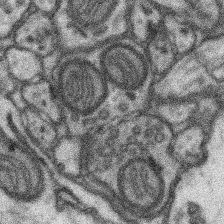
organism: Mouse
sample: Somatosensory cortex neuropil